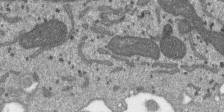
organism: Human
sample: Lung epithelial cells infected with SARS-CoV-2